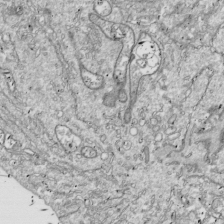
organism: Drosophila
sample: Cell division; meiosis; drosophila spermatocytes